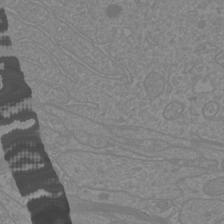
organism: Mouse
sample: Cortical neurons